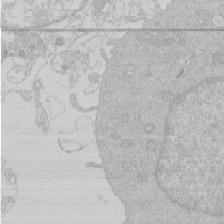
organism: Human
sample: Macrophage cells